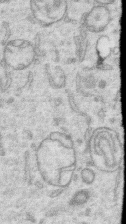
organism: Human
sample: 1205lu cells